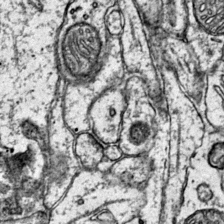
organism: Mouse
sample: Primary visual cortex